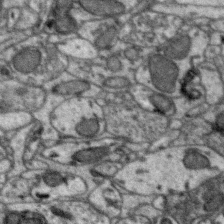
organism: Zebra finch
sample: Brain